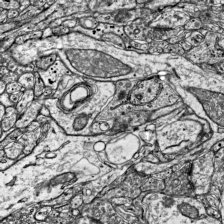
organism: Mouse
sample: Visual Cortex